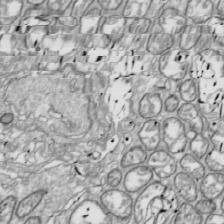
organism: Drosophila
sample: Cell division; meiosis; drosophila spermatocytes